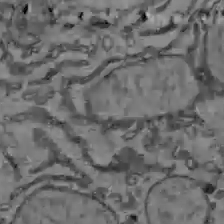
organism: C57BL Mouse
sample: Liver